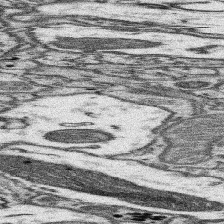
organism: Mouse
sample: Somatosensory cortex neuropil